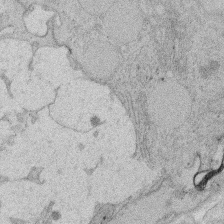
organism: Rat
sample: Salivary granule